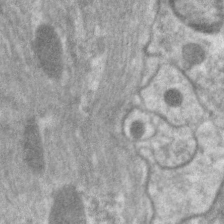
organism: C. elegans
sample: Pharynx